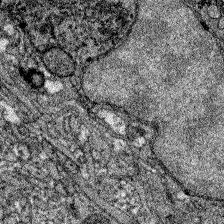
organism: Zebrafish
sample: Larval olfactory bulb